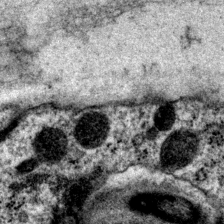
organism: P. pacificus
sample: Pharynx